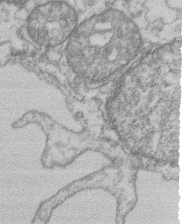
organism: Mouse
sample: T cell stromal cell synapse